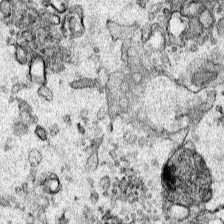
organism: Human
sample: Mitochondria in HCT116 cells